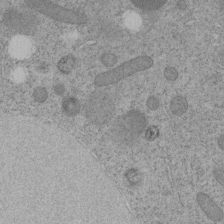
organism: C. elegans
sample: C. elegans embryo early stage